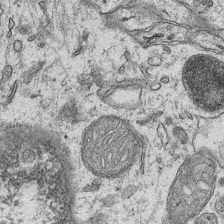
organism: Mouse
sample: CA1 Hippocampus